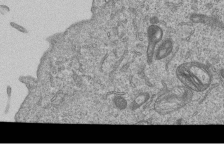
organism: Human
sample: MDA-MB-231 cells